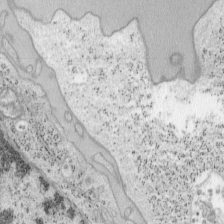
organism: Mouse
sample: OT-I killer T cells with ID8 ovarian cancer cells